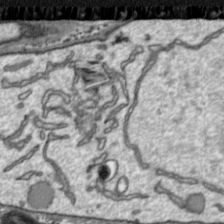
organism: Toxoplasma gondii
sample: Parasites in a vacuole inside a host cell